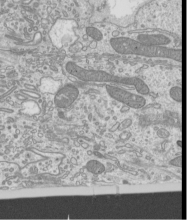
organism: Mouse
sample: Cilia; mouse epididymis